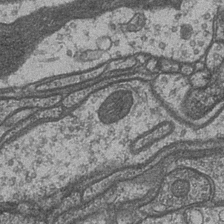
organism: Drosophila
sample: Optic medulla